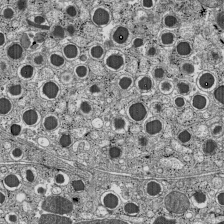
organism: C57BL Mouse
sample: Pancreatic islet